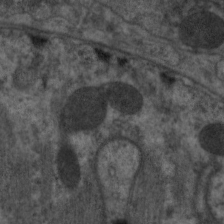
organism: C. elegans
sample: Pharynx